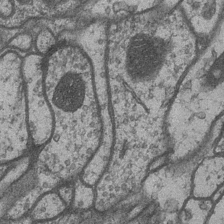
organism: Drosophila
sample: Optic medulla